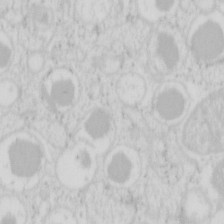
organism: Mouse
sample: Pancreas